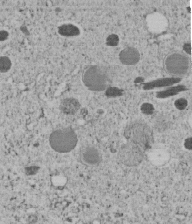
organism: C. elegans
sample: C. elegans embryo early stage